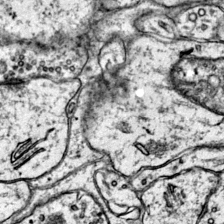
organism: Mouse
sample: Primary visual cortex